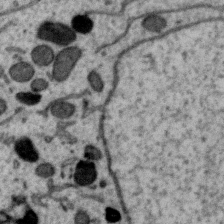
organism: Zebra finch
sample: Brain